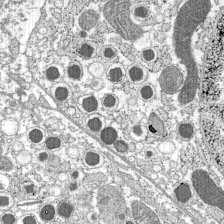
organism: C57BL Mouse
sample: Pancreatic islet